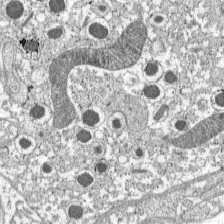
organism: C57BL Mouse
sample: Pancreatic islet